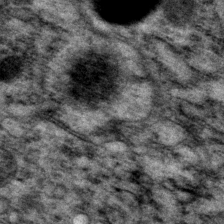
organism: P. pacificus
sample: Pharynx